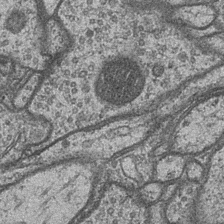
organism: Drosophila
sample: Optic medulla